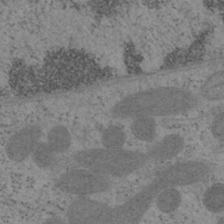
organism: Mouse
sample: OT-I killer T cells with ID8 ovarian cancer cells